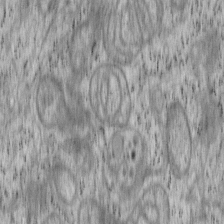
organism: Human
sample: HeLa cells